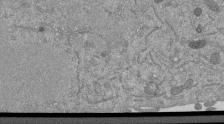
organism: Mouse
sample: ED-1 cell nuclei; centrioles